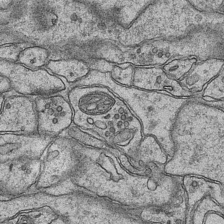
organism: Mouse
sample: CA1 Hippocampus